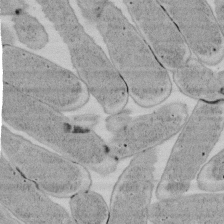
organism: E. coli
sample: Bacterial nucleoid